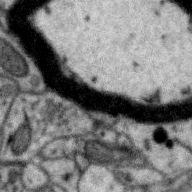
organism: Zebra finch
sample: Brain